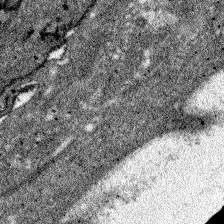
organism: Zebrafish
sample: Larval olfactory bulb